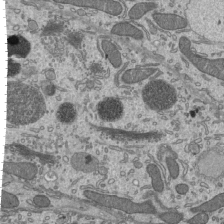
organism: Mouse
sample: Mouse epididymis efferent ductule cilia